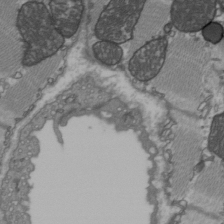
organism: C57BL Mouse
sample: Heart